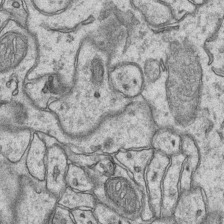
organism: Mouse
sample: CA1 Hippocampus